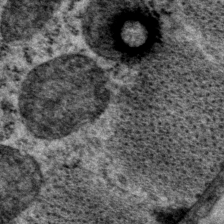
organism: P. pacificus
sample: Pharynx